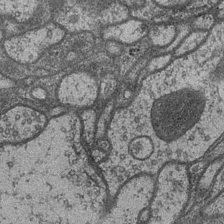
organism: Drosophila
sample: Optic medulla